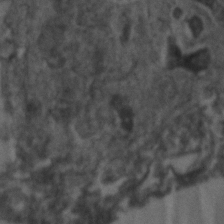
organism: Zebrafish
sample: Zebrafish embryo